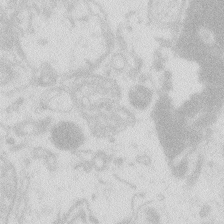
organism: Zebrafish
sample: Macrophage